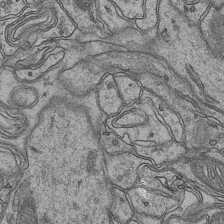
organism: Mouse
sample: CA1 Hippocampus